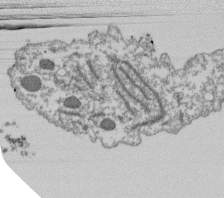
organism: Dictyostelium discoideum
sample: Dictyostelium multivesicular bodies